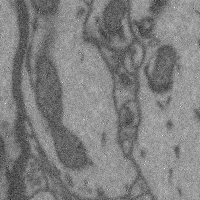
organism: Mouse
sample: Cerebral cortex